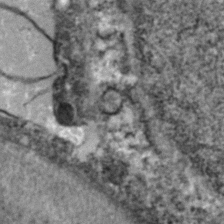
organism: Zebrafish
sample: Zebrafish embryo